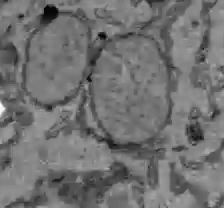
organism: C57BL Mouse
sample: Liver